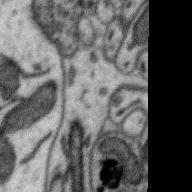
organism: Zebra finch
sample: Brain